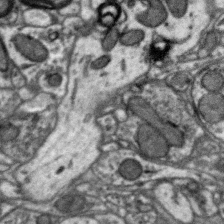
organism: Zebra finch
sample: Brain